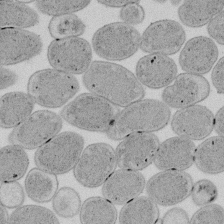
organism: E. coli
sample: Bacterial nucleoid